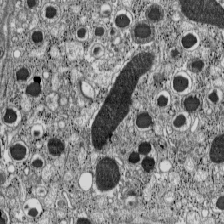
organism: C57BL Mouse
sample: Pancreatic islet